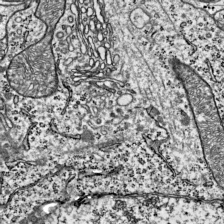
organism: Mouse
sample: Visual Cortex